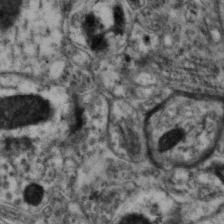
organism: Mouse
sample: Neocortex